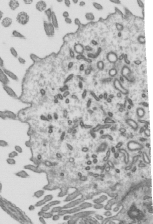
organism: Mouse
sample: Mouse epididymis efferent ductule cilia